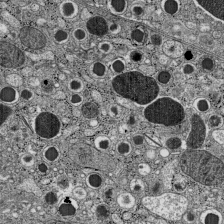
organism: C57BL Mouse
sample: Pancreatic islet